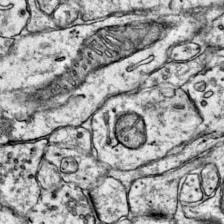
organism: Mouse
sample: Primary visual cortex